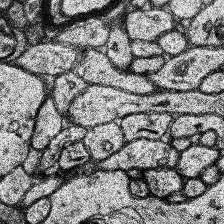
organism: Human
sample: Temporal Lobe